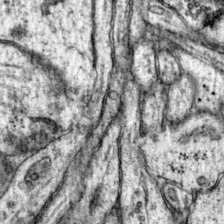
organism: Mouse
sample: Primary visual cortex